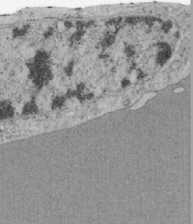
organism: Human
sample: HeLa cells